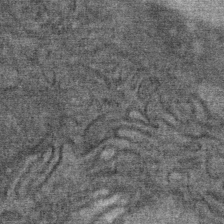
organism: Mouse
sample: Mouse Salivary gland